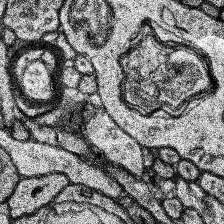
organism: Human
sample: Temporal Lobe